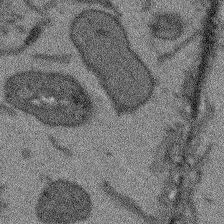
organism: Arabidopsis thaliana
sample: Root tip